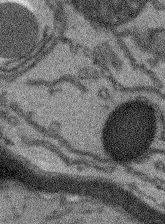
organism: Arabidopsis thaliana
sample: Root tip